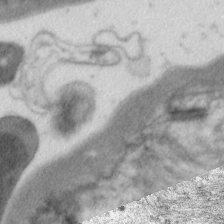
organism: C. elegans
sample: Pharynx